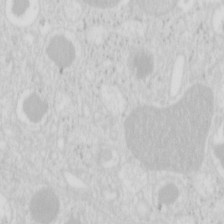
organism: Mouse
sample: Pancreas